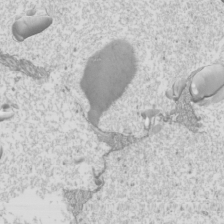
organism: Mouse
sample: Cilia; mouse epididymis